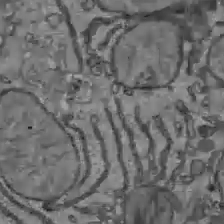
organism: C57BL Mouse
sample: Liver